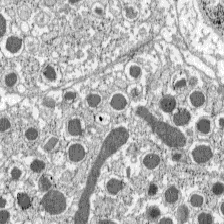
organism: C57BL Mouse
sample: Pancreatic islet